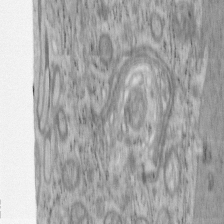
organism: Human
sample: HeLa cells